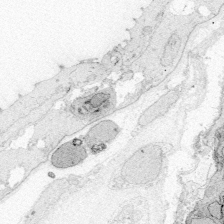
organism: Zebrafish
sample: Whole-Brain